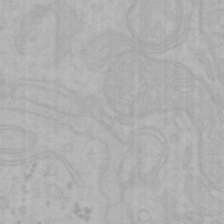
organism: Mouse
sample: Choroid plexus